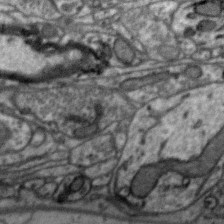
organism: Zebra finch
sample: Brain